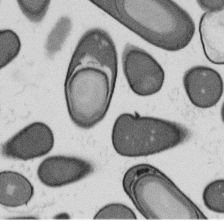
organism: B. subtilis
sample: Bacterial spore